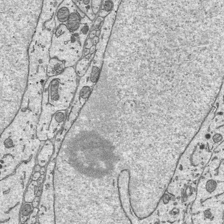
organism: Mouse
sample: Suprachiasmatic nucleus